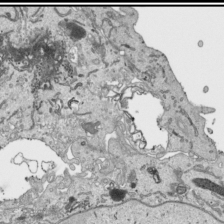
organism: Human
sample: Mitochondria in HCT116 cells